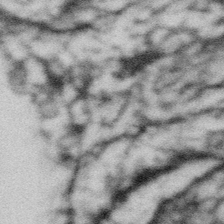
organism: Gemmata obscuriglobus